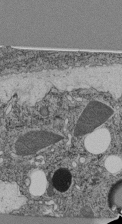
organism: C. elegans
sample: C. elegans pharynx